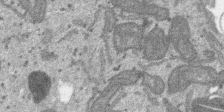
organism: Human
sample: Lung epithelial cells infected with SARS-CoV-2